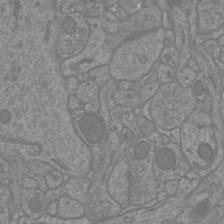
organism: Mouse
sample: Cortical neurons